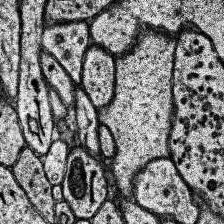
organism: Human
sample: Temporal Lobe